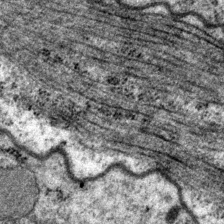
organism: P. pacificus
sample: Pharynx